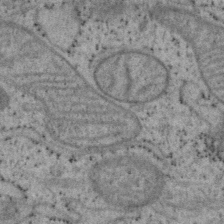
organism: Human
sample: HeLa cells